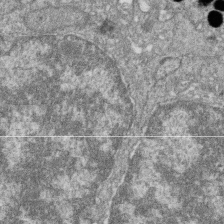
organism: Zebrafish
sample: Cilia; retinal pigment epithelium